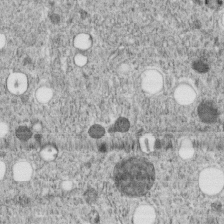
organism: C. elegans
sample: C. elegans embryo early stage